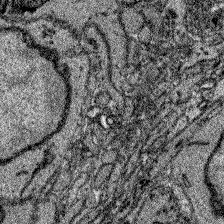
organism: Zebrafish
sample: Larval olfactory bulb